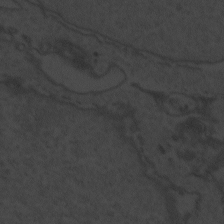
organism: Zebrafish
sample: Macrophage infected with Toxoplasma gondii